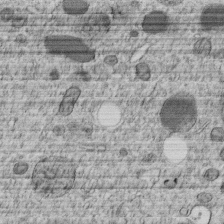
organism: C. elegans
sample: C. elegans embryo early stage